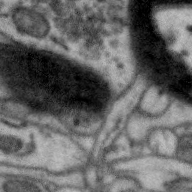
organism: Zebra finch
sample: Brain